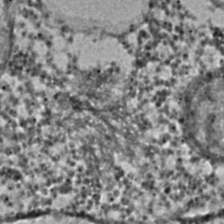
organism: C. elegans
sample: C. elegans embryo